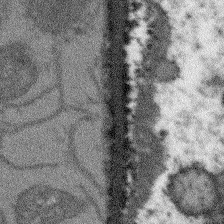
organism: Arabidopsis thaliana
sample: Root tip